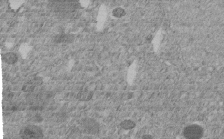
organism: C. elegans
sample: C. elegans embryo early stage